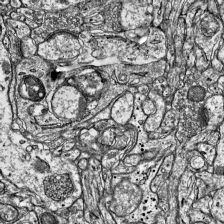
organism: Mouse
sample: Visual Cortex